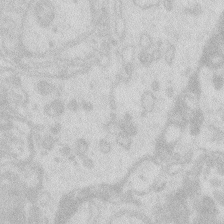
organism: Zebrafish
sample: Macrophage